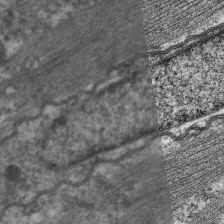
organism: C. elegans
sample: Pharynx